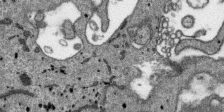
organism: Human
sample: Lung epithelial cells, uninfected (mock) control